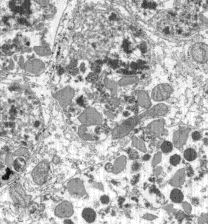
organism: C57BL Mouse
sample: Pancreatic islet